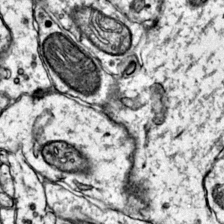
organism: Mouse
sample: Primary visual cortex